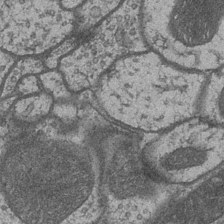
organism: Drosophila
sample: Optic medulla